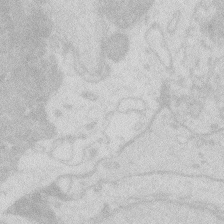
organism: Zebrafish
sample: Macrophage